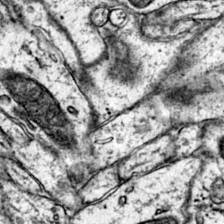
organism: Mouse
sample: Primary visual cortex